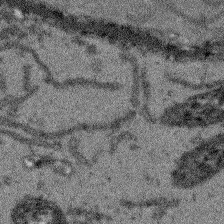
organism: Arabidopsis thaliana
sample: Root tip